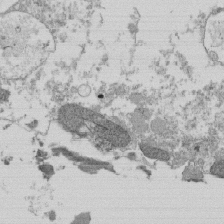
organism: Tetrahymena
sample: Cilia in tetrahymena